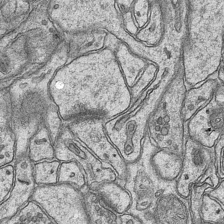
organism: Mouse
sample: CA1 Hippocampus